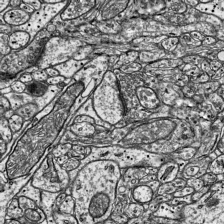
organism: Mouse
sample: Visual Cortex